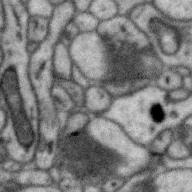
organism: Zebra finch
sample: Brain